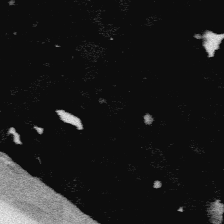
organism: Platynereis dumerilii